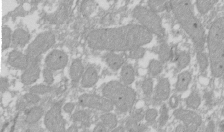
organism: Xenopus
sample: Cilia; centrioles in frog embryo cells